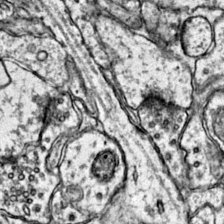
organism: Mouse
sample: Primary visual cortex